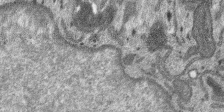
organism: Human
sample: Lung epithelial cells infected with SARS-CoV-2